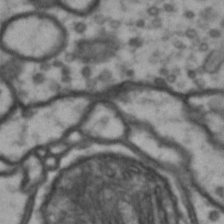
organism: Drosophila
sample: Brain